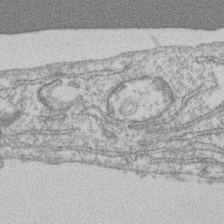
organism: Mouse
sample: T cell stromal cell synapse